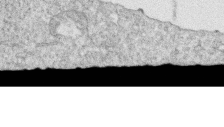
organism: Human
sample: HeLa cell HIV synapse